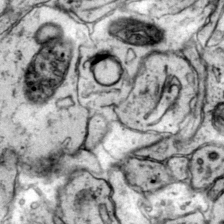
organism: Mouse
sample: Primary visual cortex